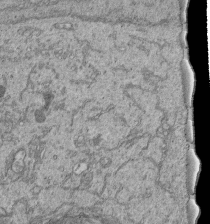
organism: Human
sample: Retinal organoid Rod and Cone cells